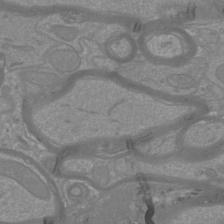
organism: Mouse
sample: Cortical neurons